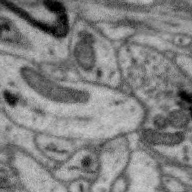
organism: Zebra finch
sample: Brain